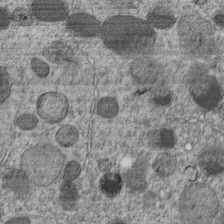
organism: C. elegans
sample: C. elegans embryo early stage